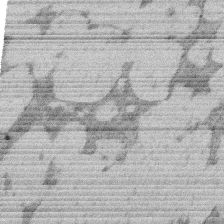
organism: Rat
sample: Salivary granule